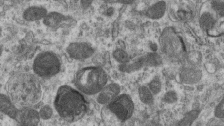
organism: Mouse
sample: Centriole in ependymal cells